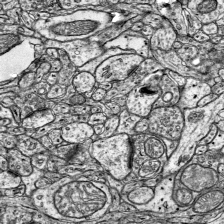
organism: Mouse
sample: Visual Cortex